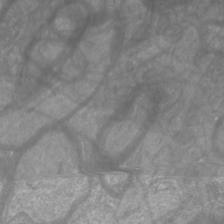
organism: Mouse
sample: Cortical neurons